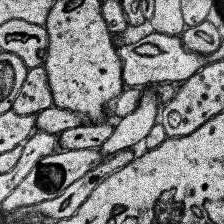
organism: Human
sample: Temporal Lobe